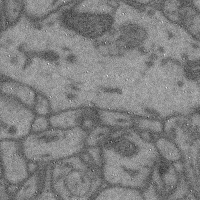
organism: Mouse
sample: Cerebral cortex